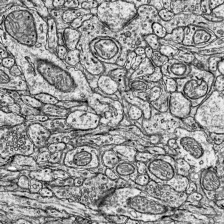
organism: Mouse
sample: Visual Cortex